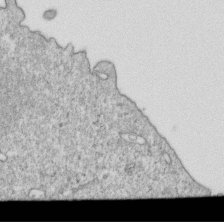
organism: Mouse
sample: Activated OT-1 CD8+ T cells